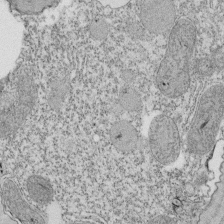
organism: Tetrahymena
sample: Cilia in tetrahymena